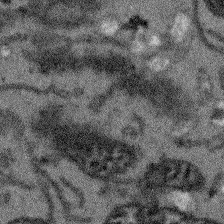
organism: Arabidopsis thaliana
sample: Root tip